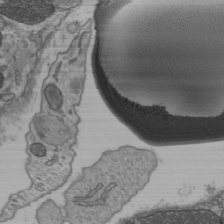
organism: C57BL Mouse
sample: Heart